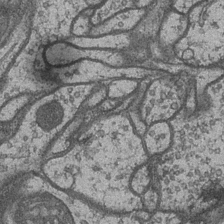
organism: Drosophila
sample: Optic medulla